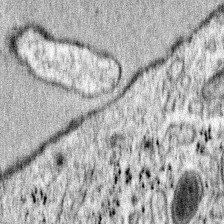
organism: Human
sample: HeLa cells